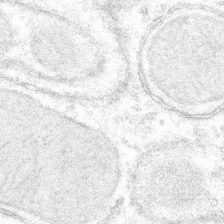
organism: Mouse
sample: Mouse hepatocytes